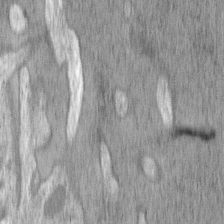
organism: Human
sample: HeLa cells